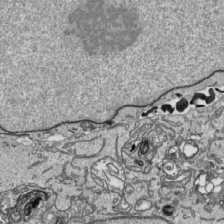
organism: Human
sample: Mitochondria in HCT116 cells